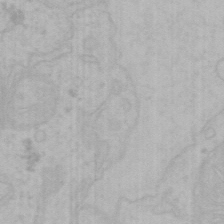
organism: Mouse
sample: Choroid plexus